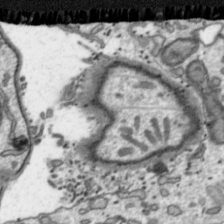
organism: Toxoplasma gondii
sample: Parasites in a vacuole inside a host cell